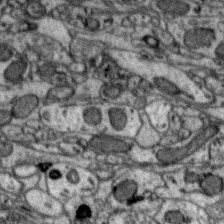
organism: Zebra finch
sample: Brain